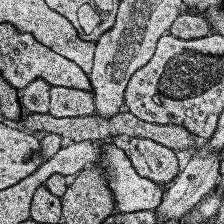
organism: Human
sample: Temporal Lobe